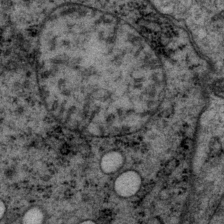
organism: P. pacificus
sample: Pharynx